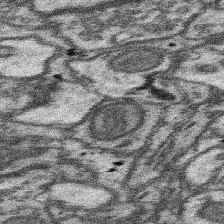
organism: Mouse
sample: Somatosensory cortex neuropil